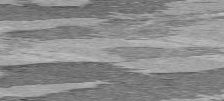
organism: C57BL Mouse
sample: Heart